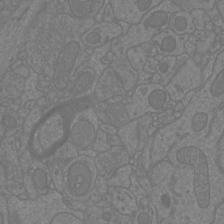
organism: Mouse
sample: Cortical neurons